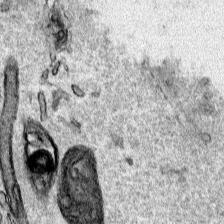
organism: Human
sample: Mitochondria in HCT116 cells